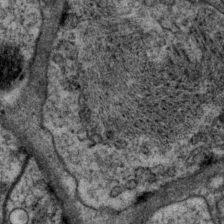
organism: P. pacificus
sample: Pharynx